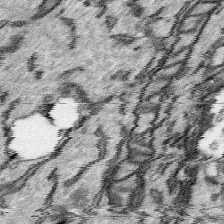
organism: Human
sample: HeLa cells